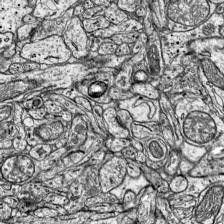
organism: Mouse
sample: Visual Cortex